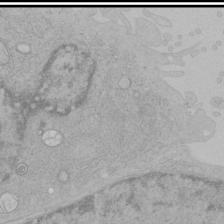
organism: Human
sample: Mitochondria in HCT116 cells